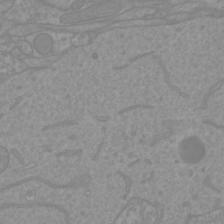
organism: Mouse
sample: Cortical neurons